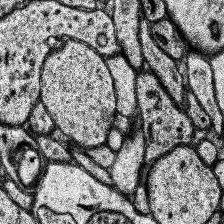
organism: Human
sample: Temporal Lobe